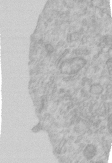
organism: Human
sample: Centriole in RPE cells